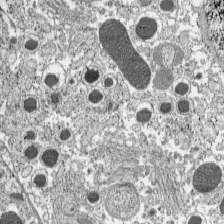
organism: C57BL Mouse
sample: Pancreatic islet